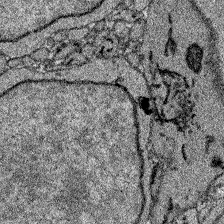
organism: Zebrafish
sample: Larval olfactory bulb